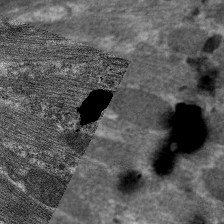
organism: C. elegans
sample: Pharynx